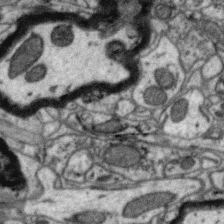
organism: Zebra finch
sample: Brain